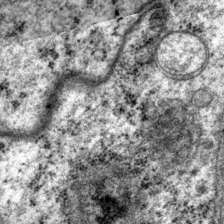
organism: P. pacificus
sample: Pharynx